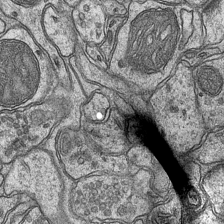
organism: Mouse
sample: CA1 Hippocampus